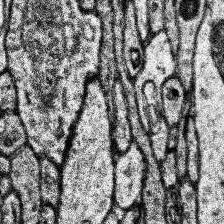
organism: Human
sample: Temporal Lobe